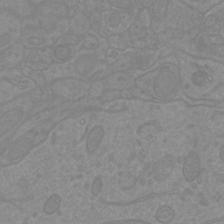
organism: Mouse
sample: Cortical neurons